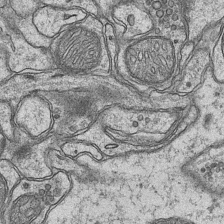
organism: Mouse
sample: CA1 Hippocampus